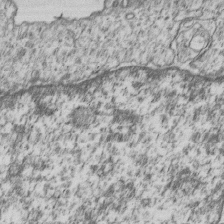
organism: Human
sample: MDA-MB-231 cells